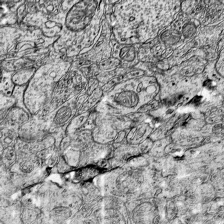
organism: Mouse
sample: Visual Cortex